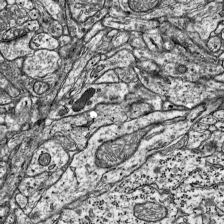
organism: Mouse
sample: Visual Cortex